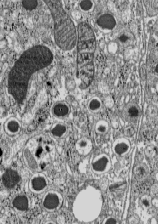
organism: C57BL Mouse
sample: Pancreatic islet